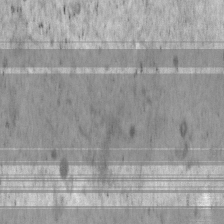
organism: Human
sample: HeLa cells